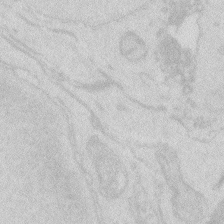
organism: Zebrafish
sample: Macrophage